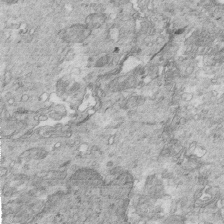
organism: Mouse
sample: Multiciliated cells